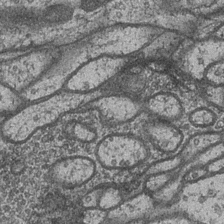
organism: Drosophila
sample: Optic medulla